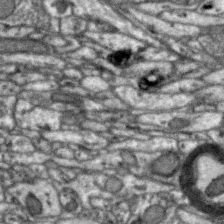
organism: Zebra finch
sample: Brain